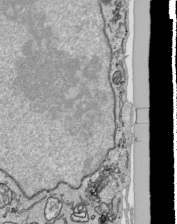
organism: Human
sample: Mitochondria in HCT116 cells